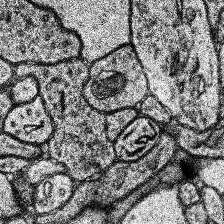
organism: Human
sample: Temporal Lobe